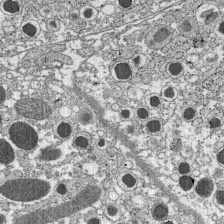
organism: C57BL Mouse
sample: Pancreatic islet